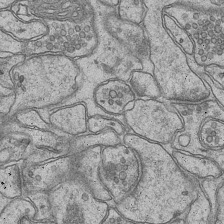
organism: Mouse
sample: CA1 Hippocampus